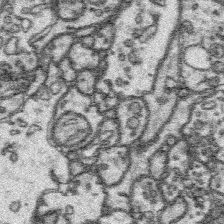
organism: Platynereis dumerilii